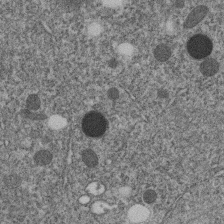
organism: C. elegans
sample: C. elegans embryo early stage